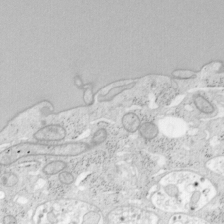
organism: Mouse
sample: OT-I killer T cells with ID8 ovarian cancer cells